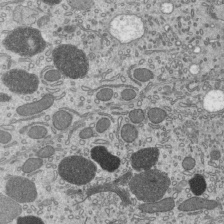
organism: Mouse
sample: Mouse epididymis efferent ductule cilia